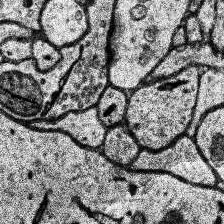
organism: Human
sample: Temporal Lobe